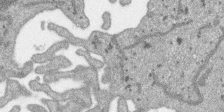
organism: Human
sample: Lung epithelial cells infected with SARS-CoV-2